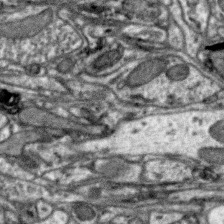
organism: Zebra finch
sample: Brain